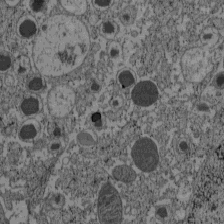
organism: C57BL Mouse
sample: Pancreatic islet